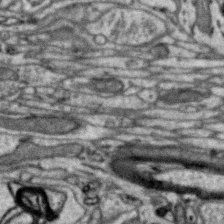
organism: Zebra finch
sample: Brain